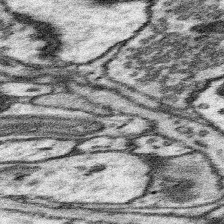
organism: Mouse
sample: Somatosensory cortex neuropil